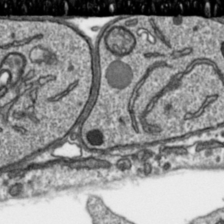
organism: Toxoplasma gondii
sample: Parasites in a vacuole inside a host cell